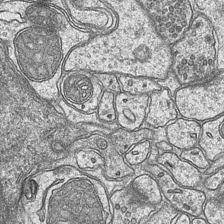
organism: Mouse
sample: CA1 Hippocampus